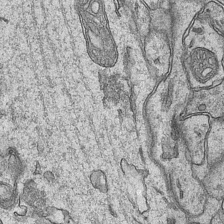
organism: Mouse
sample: CA1 Hippocampus